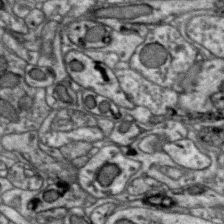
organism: Zebra finch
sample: Brain